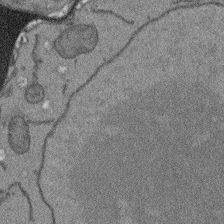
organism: Arabidopsis thaliana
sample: Root tip